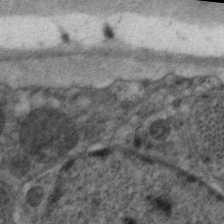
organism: C. elegans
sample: Pharynx